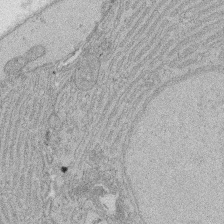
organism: Rat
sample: Salivary granule